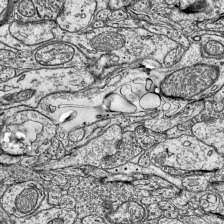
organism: Mouse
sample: Visual Cortex